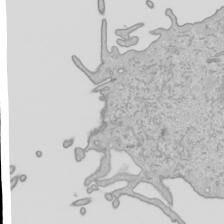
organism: Human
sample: Mitochondria in HCT116 cells